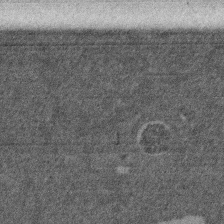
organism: Mouse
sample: Dividing mouse embryo 1 cell stage